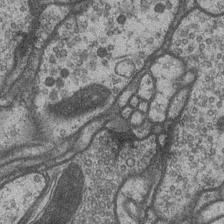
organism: Drosophila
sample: Optic medulla